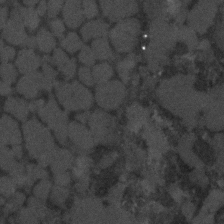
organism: C. elegans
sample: C. elegans embryo